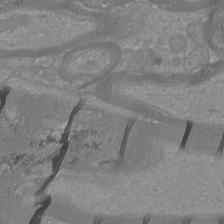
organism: Mouse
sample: Cortical neurons